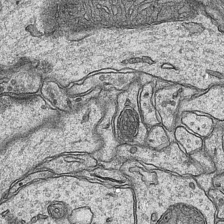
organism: Mouse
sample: CA1 Hippocampus